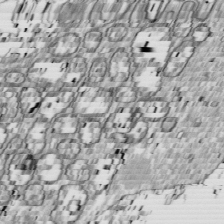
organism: Drosophila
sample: Cell division; meiosis; drosophila spermatocytes